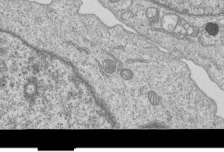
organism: Human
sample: MDA-MB-231 cells